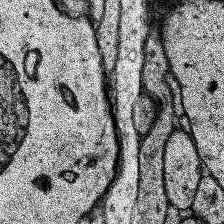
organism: Human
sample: Temporal Lobe